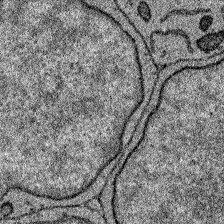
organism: Zebrafish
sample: Larval olfactory bulb